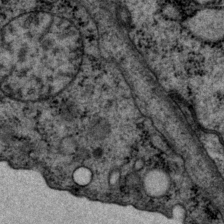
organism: P. pacificus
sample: Pharynx